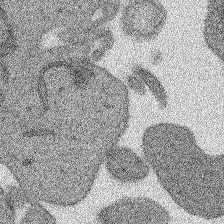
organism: Human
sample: HeLa cells